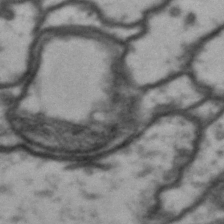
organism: Drosophila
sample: Brain